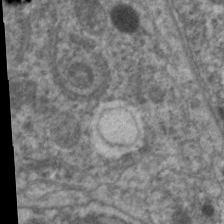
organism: C. elegans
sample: Pharynx